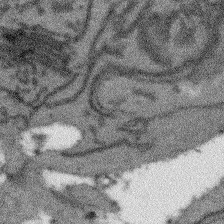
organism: Arabidopsis thaliana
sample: Root tip